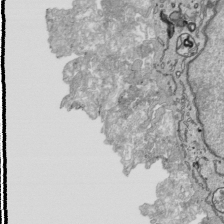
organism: Human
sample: Mitochondria in HCT116 cells